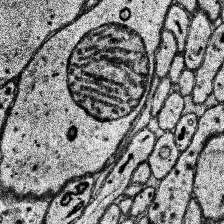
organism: Human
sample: Temporal Lobe